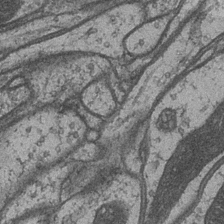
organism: Drosophila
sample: Optic medulla